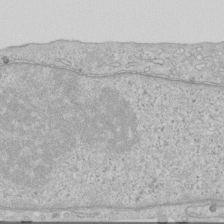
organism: Human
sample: Centriole in RPE cells